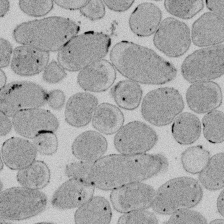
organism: E. coli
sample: Bacterial nucleoid